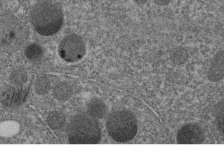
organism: C. elegans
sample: C. elegans embryo early stage